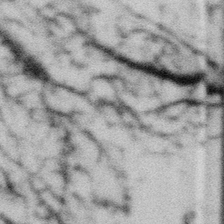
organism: Gemmata obscuriglobus